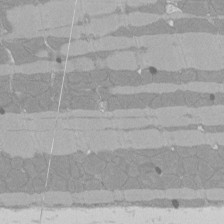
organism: Rat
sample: Left ventricle